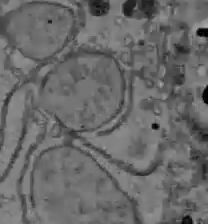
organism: C57BL Mouse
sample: Liver